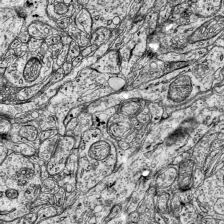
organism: Mouse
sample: Visual Cortex